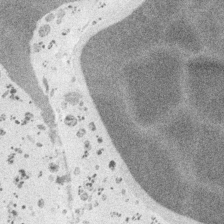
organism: Embia sp.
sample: Silk gland